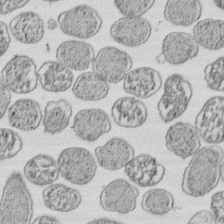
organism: E. coli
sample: Bacterial nucleoid